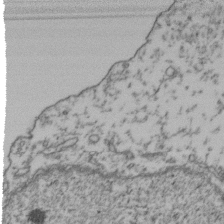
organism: Human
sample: Activated Jurkat CD4+ T cells